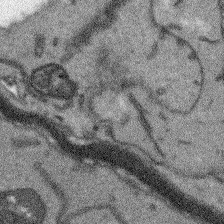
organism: Arabidopsis thaliana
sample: Root tip